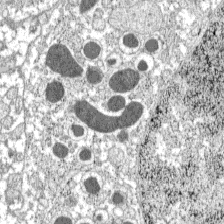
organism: C57BL Mouse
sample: Pancreatic islet